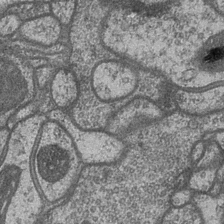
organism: Drosophila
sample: Optic medulla